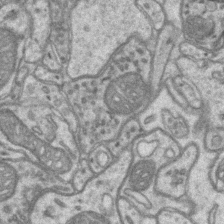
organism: Mouse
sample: CA1 Hippocampus